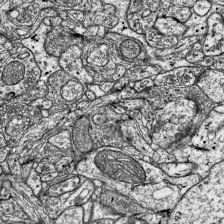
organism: Mouse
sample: Visual Cortex